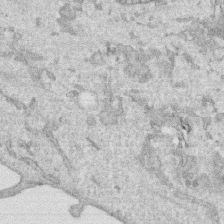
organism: Human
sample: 1205lu cells